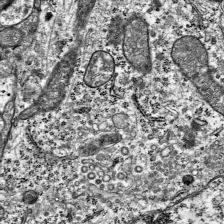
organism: Mouse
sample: Visual Cortex